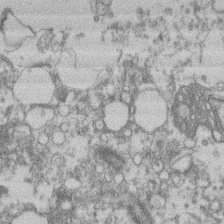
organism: Mouse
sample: T cell stromal cell synapse